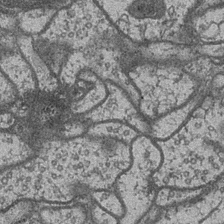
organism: Drosophila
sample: Optic medulla